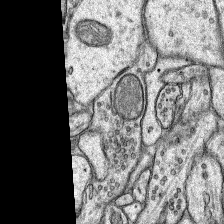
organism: Rat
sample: Hippocampus